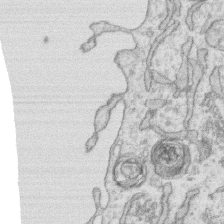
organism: Human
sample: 1205lu cells